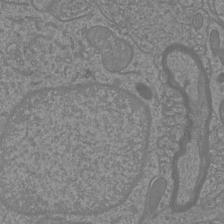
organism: Mouse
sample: Cortical neurons